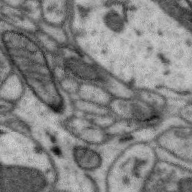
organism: Zebra finch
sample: Brain